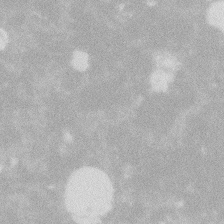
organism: Zebrafish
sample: Macrophage